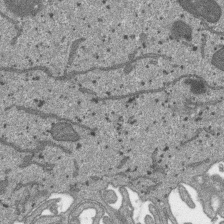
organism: Human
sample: Lung epithelial cells infected with SARS-CoV-2